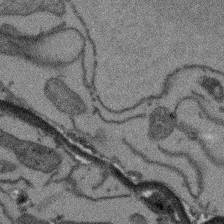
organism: Arabidopsis thaliana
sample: Root tip